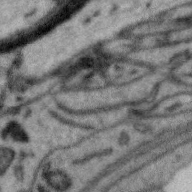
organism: Zebra finch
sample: Brain